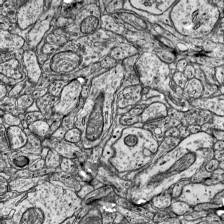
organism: Mouse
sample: Visual Cortex